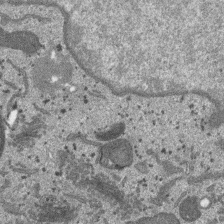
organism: Human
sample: Lung epithelial cells infected with SARS-CoV-2